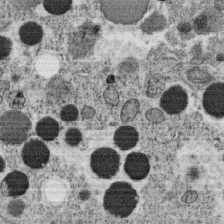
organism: C. elegans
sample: C. elegans oocyte; sperm cells